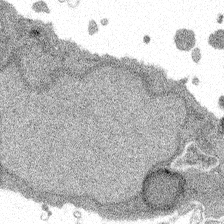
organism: Spongilla lacustris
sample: Multiple